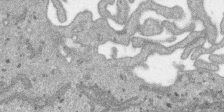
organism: Human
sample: Lung epithelial cells infected with SARS-CoV-2